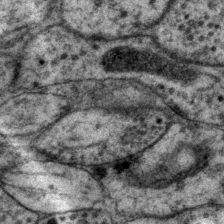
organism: P. pacificus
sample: Pharynx